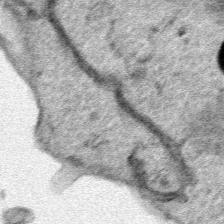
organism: Human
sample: Mitochondria in HCT116 cells